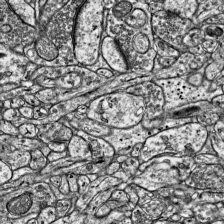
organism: Mouse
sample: Visual Cortex